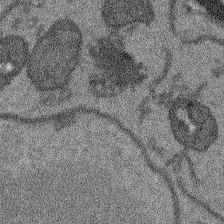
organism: Arabidopsis thaliana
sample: Root tip